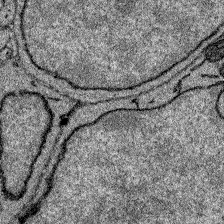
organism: Zebrafish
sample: Larval olfactory bulb